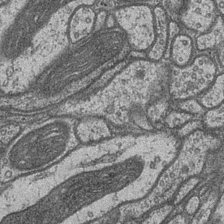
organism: Drosophila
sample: Optic medulla